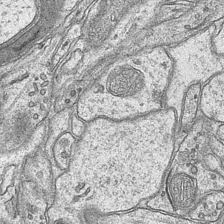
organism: Mouse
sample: CA1 Hippocampus